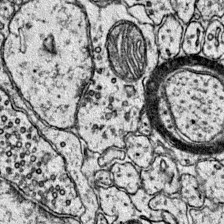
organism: Mouse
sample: Primary visual cortex